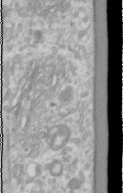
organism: Human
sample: Cilia; basal body in RPE cells